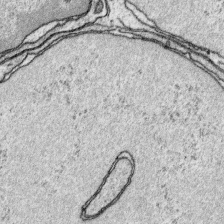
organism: Platynereis dumerilii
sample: Parapodia